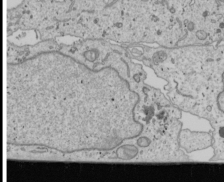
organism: Human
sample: Mitochondria in U2OS cells